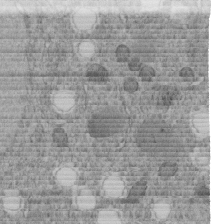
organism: C. elegans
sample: C. elegans embryo early stage